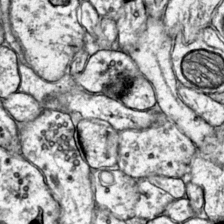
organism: Mouse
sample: Primary visual cortex